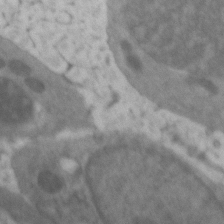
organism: Zebrafish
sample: Zebrafish embryo